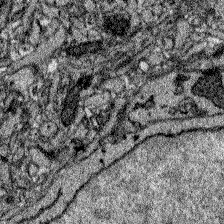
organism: Zebrafish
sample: Larval olfactory bulb